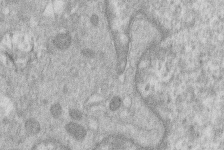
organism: Human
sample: Macrophage cells